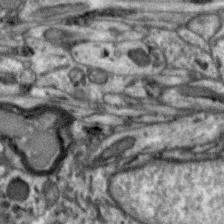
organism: Zebra finch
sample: Brain